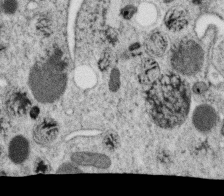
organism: C. elegans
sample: C. elegans oocyte; sperm cells